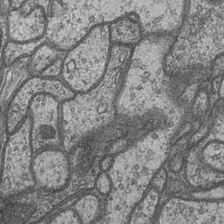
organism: Drosophila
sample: Optic medulla